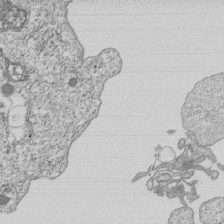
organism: Human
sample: MDA-MB-231 cells